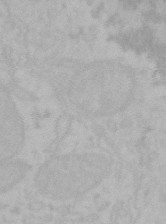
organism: Mouse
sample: Choroid plexus